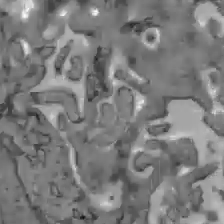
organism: C57BL Mouse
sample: Liver